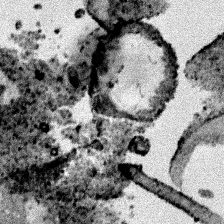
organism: Human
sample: Mitochondria in HCT116 cells